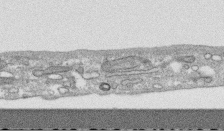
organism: Human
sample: CRL-1474